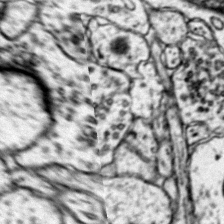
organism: Mouse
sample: Primary visual cortex